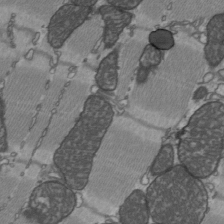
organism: C57BL Mouse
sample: Heart